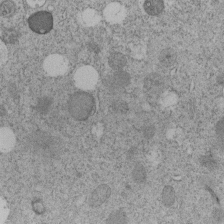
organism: C. elegans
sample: C. elegans embryo early stage